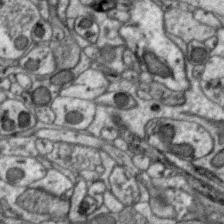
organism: Zebra finch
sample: Brain